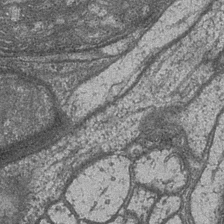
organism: Drosophila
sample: Optic medulla